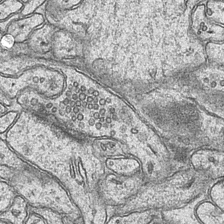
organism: Mouse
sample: CA1 Hippocampus